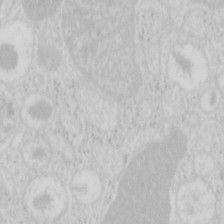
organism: Mouse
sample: Pancreas